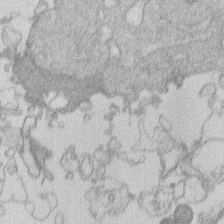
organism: Human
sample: Macrophage cells